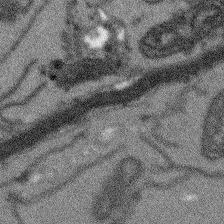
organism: Arabidopsis thaliana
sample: Root tip